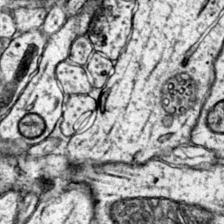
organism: Mouse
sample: Primary visual cortex